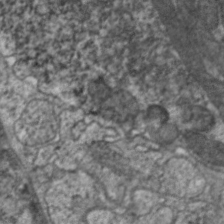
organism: C. elegans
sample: Pharynx